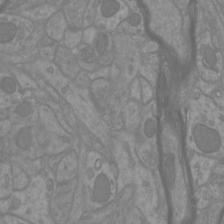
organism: Mouse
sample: Cortical neurons